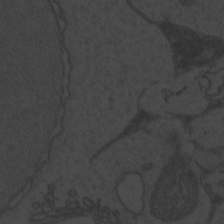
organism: Zebrafish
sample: Macrophage infected with Toxoplasma gondii